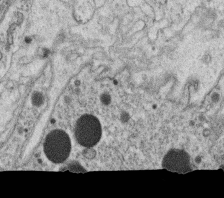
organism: C. elegans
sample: C. elegans oocyte; sperm cells